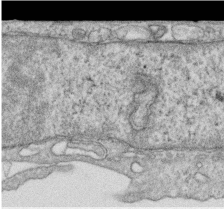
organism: Human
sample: Centriole in RPE cells